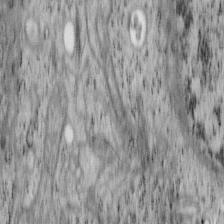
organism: Human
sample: HeLa cells